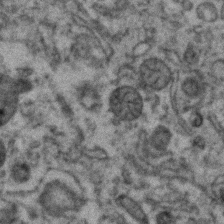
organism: Zebrafish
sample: Zebrafish embryo